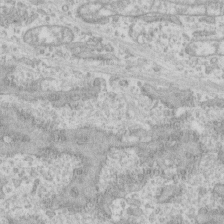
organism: Human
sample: CRL-1474